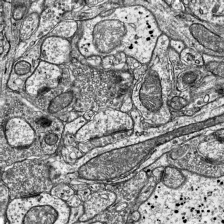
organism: Mouse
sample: Visual Cortex